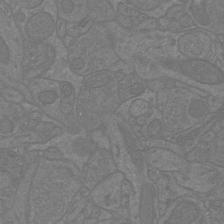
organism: Mouse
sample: Cortical neurons